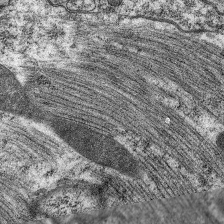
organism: C. elegans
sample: Pharynx